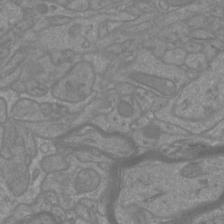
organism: Mouse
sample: Cortical neurons